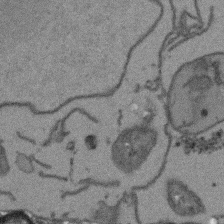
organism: Arabidopsis thaliana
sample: Root tip